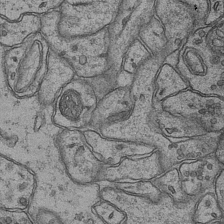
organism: Mouse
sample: CA1 Hippocampus